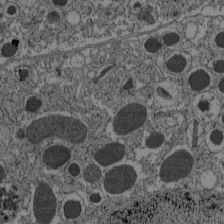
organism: C57BL Mouse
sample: Pancreatic islet